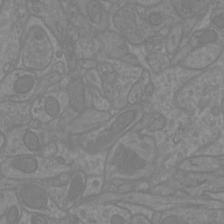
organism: Mouse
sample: Cortical neurons